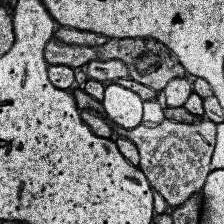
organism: Human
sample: Temporal Lobe